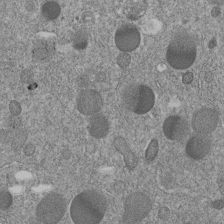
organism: C. elegans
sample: C. elegans embryo early stage